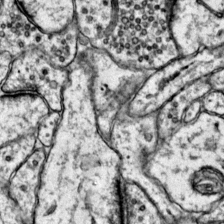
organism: Mouse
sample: Primary visual cortex